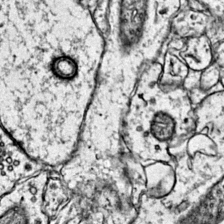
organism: Mouse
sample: Primary visual cortex